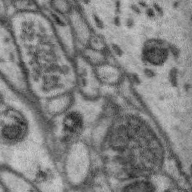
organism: Zebra finch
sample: Brain